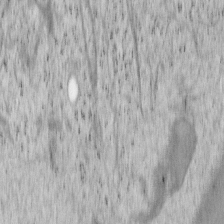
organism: Human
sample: HeLa cells